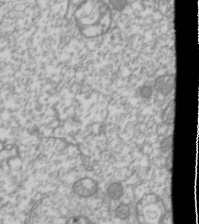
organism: Drosophila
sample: Cell division; meiosis; drosophila spermatocytes